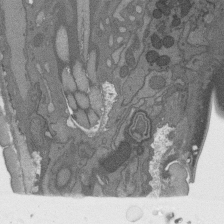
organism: C. elegans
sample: AFD neurons C. elegans